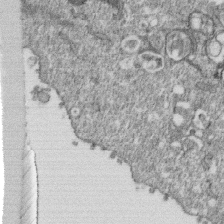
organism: African green monkey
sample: Vero E6 cells infected with SARS-CoV-2